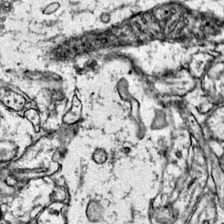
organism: Mouse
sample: Primary visual cortex